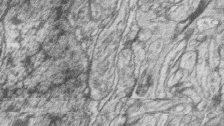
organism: Zebrafish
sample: synaptic ribbons in rod cells and cone cells